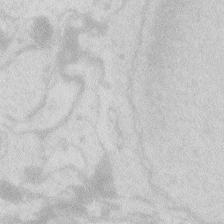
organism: Zebrafish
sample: Macrophage